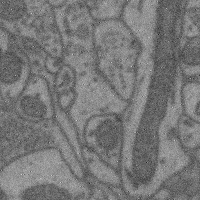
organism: Mouse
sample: Cerebral cortex